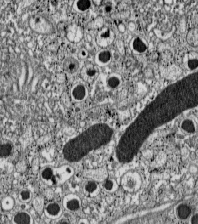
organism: C57BL Mouse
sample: Pancreatic islet